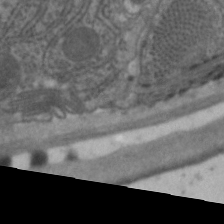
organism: C. elegans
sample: Pharynx